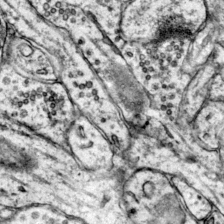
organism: Mouse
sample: Primary visual cortex